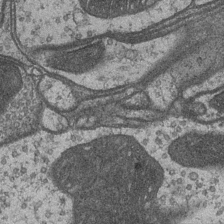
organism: Drosophila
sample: Optic medulla